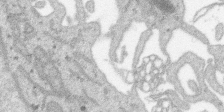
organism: Human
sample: Lung epithelial cells infected with SARS-CoV-2